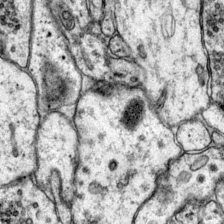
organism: Mouse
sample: Primary visual cortex